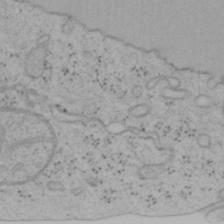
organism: Human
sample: HeLa cells